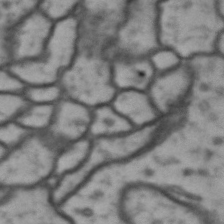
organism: Drosophila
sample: Brain